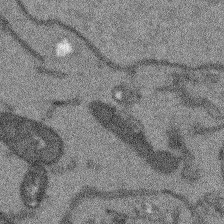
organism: Arabidopsis thaliana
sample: Root tip